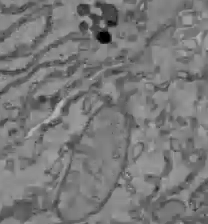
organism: C57BL Mouse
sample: Liver